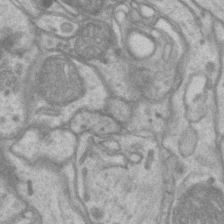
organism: Mouse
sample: CA1 Hippocampus